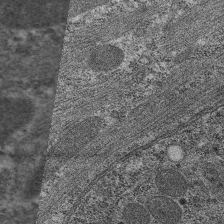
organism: C. elegans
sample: Pharynx